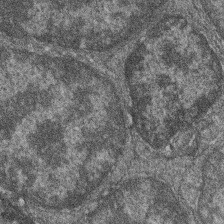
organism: Zebrafish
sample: Cilia; retinal pigment epithelium